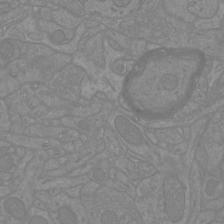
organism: Mouse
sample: Cortical neurons